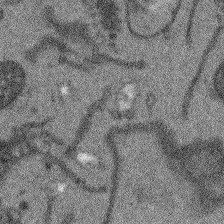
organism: Arabidopsis thaliana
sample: Root tip